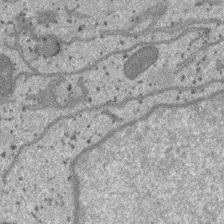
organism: Human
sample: Lung epithelial cells infected with SARS-CoV-2